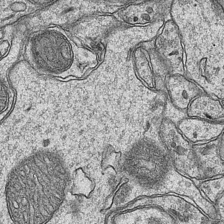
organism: Mouse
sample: CA1 Hippocampus